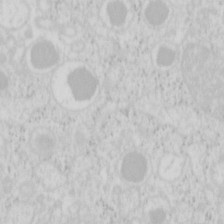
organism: Mouse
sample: Pancreas